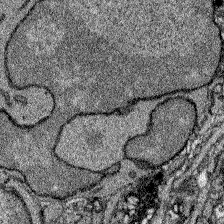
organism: Zebrafish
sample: Larval olfactory bulb